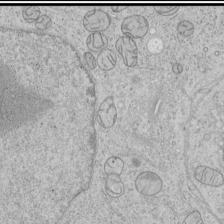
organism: Human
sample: Mitochondria in HCT116 cells